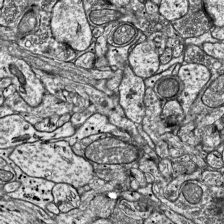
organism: Mouse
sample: Visual Cortex